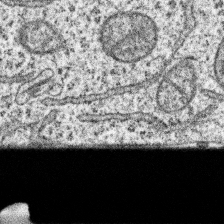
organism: Human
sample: HeLa cells